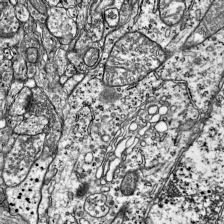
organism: Mouse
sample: Visual Cortex